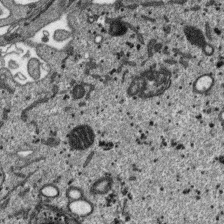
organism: Human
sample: Lung epithelial cells infected with SARS-CoV-2